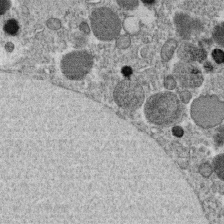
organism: C. elegans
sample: C. elegans oocyte; sperm cells